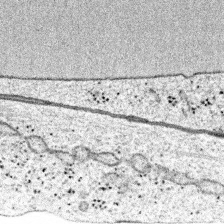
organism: Human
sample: HeLa cells